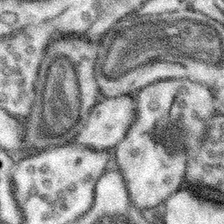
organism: Mouse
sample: Somatosensory cortex neuropil